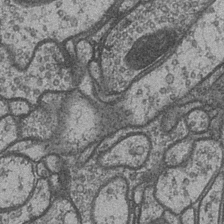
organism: Drosophila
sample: Optic medulla